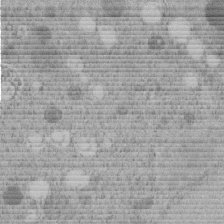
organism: C. elegans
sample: C. elegans embryo early stage